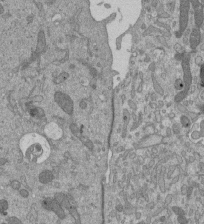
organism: Mouse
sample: ED-1 cell nuclei; centrioles